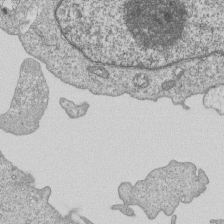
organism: Human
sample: MDA-MB-231 cells